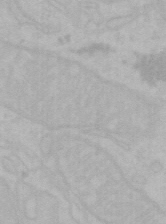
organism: Mouse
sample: Choroid plexus